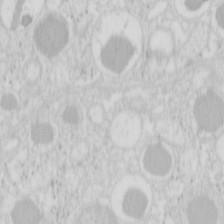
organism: Mouse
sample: Pancreas